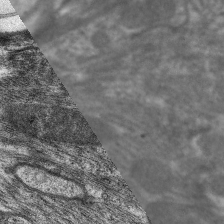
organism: C. elegans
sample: Pharynx